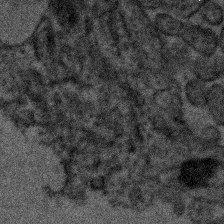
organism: Human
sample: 1205lu cells